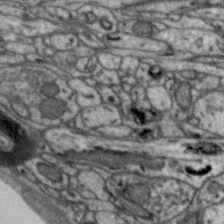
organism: Zebra finch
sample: Brain